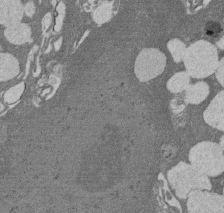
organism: Rat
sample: Salivary granule